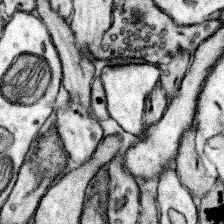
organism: Mouse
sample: Somatosensory cortex neuropil